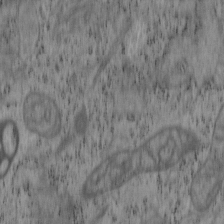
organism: Human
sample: HeLa cells